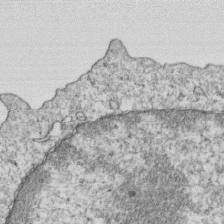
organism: Mouse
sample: Activated OT-1 CD8+ T cells